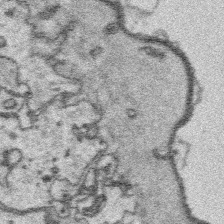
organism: Platynereis dumerilii